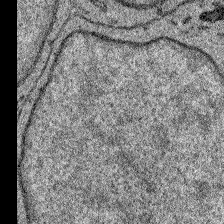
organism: Zebrafish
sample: Larval olfactory bulb